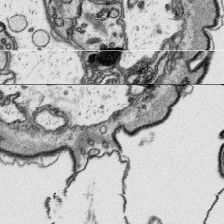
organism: Platynereis dumerilii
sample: Parapodia